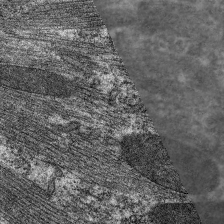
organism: C. elegans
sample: Pharynx